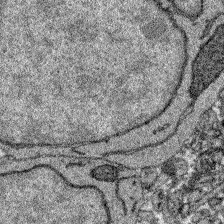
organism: Zebrafish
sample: Larval olfactory bulb